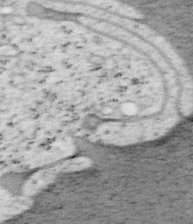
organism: Mouse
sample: OT-I killer T cells with ID8 ovarian cancer cells